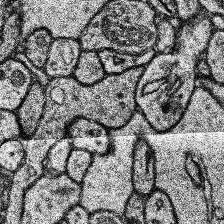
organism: Human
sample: Temporal Lobe